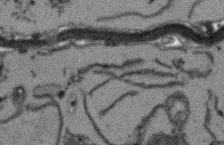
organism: Arabidopsis thaliana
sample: Root tip